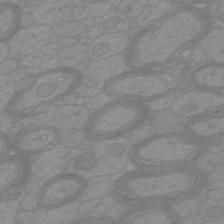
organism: Mouse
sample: Cortical neurons